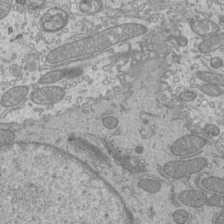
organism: Mouse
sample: Cilia; mouse epididymis